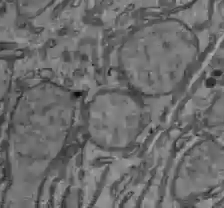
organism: C57BL Mouse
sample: Liver